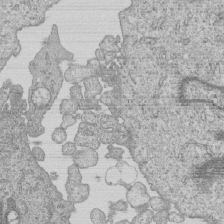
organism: Human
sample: MDA-MB-231 cells